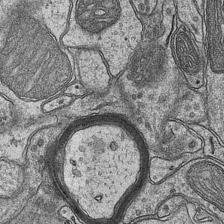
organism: Mouse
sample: CA1 Hippocampus